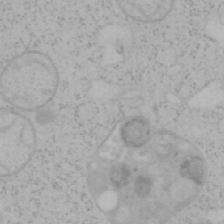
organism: Mouse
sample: OT-I killer T cells with ID8 ovarian cancer cells